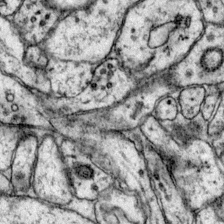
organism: Mouse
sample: Primary visual cortex